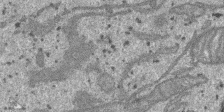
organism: Human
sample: Lung epithelial cells infected with SARS-CoV-2